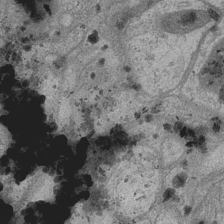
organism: Drosophila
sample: Optic medulla